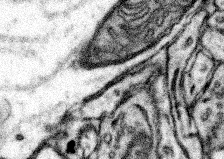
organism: Mouse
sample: Somatosensory cortex neuropil